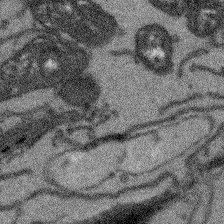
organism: Arabidopsis thaliana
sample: Root tip